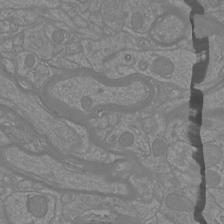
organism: Mouse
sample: Cortical neurons